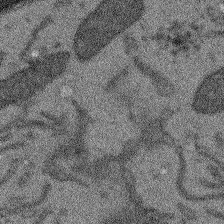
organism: Arabidopsis thaliana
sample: Root tip